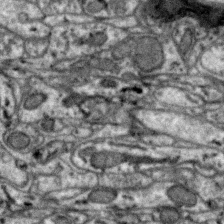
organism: Zebra finch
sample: Brain